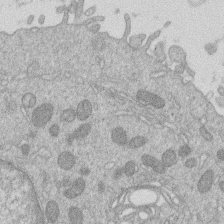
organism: Human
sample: Macrophage cells